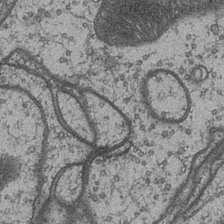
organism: Drosophila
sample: Optic medulla